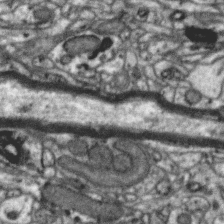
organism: Zebra finch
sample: Brain